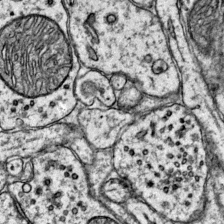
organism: Mouse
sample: Primary visual cortex